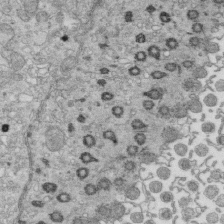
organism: Mouse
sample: Multiciliated cells